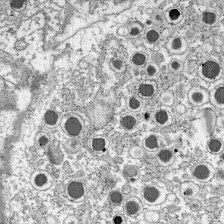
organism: C57BL Mouse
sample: Pancreatic islet